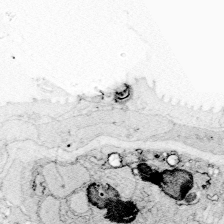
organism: Zebrafish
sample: Whole-Brain